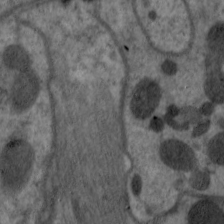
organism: C. elegans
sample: Pharynx